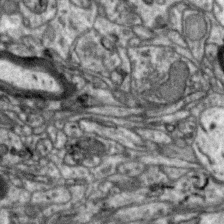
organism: Zebra finch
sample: Brain